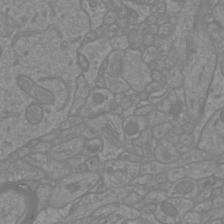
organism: Mouse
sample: Cortical neurons